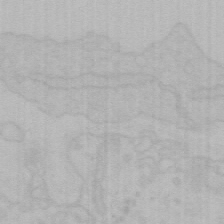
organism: Mouse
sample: Choroid plexus